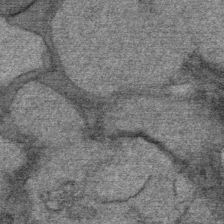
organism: Mouse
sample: Mouse Salivary gland